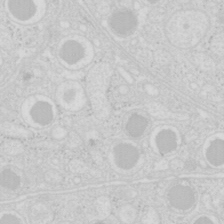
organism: Mouse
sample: Pancreas